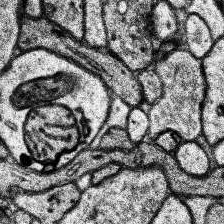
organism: Human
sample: Temporal Lobe